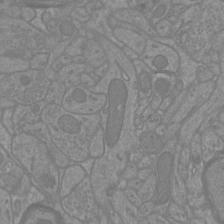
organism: Mouse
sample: Cortical neurons